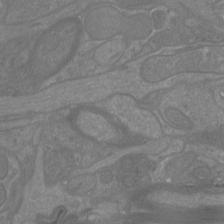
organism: Mouse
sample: Cortical neurons